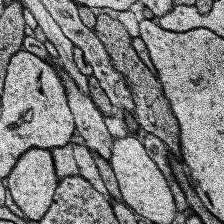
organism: Human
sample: Temporal Lobe